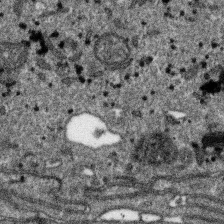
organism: Human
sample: Lung epithelial cells infected with SARS-CoV-2